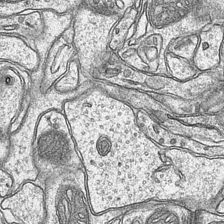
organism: Mouse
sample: CA1 Hippocampus